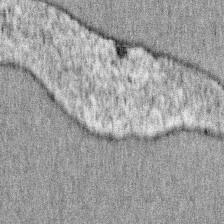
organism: Human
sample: HeLa cells